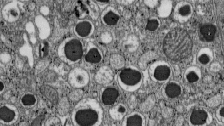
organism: C57BL Mouse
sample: Pancreatic islet